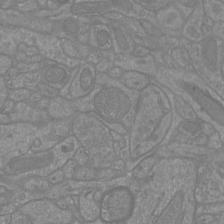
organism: Mouse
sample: Cortical neurons